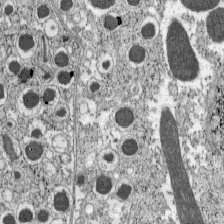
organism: C57BL Mouse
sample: Pancreatic islet